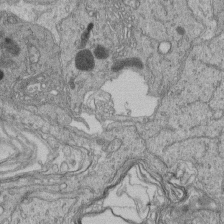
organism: Human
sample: Retinal organoid Rod and Cone cells